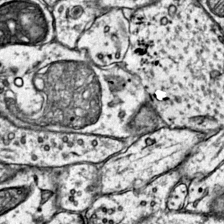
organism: Mouse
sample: Primary visual cortex